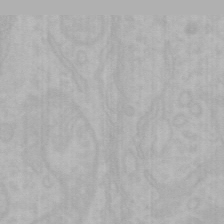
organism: Mouse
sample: Choroid plexus